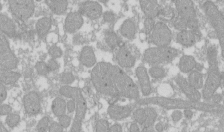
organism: Xenopus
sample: Cilia; centrioles in frog embryo cells